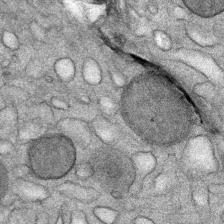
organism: Mouse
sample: Mouse Salivary gland